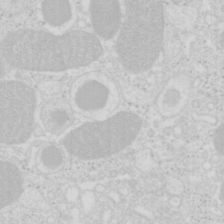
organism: Mouse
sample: Pancreas